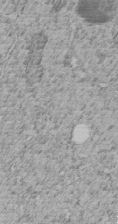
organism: C. elegans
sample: C. elegans embryo early stage